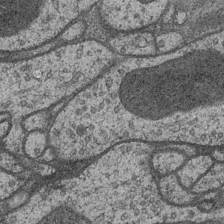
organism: Drosophila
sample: Optic medulla